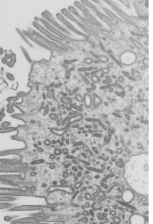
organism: Mouse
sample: Mouse epididymis efferent ductule cilia